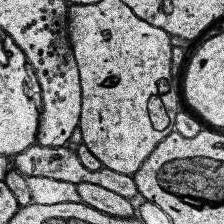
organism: Human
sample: Temporal Lobe